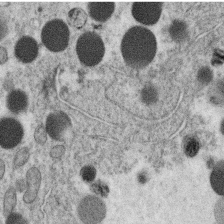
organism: C. elegans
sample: C. elegans oocyte; sperm cells